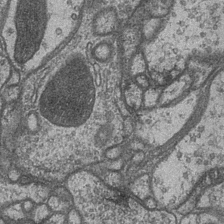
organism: Drosophila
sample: Optic medulla